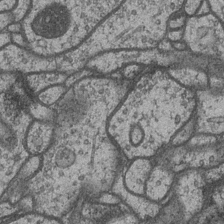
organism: Drosophila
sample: Optic medulla